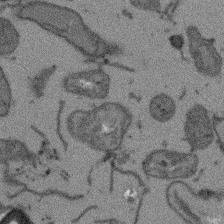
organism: Arabidopsis thaliana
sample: Root tip